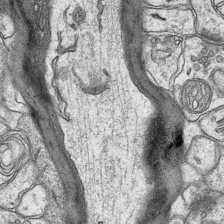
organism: Mouse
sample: CA1 Hippocampus